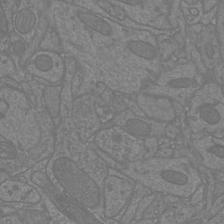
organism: Mouse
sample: Cortical neurons